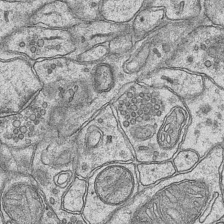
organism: Mouse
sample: CA1 Hippocampus